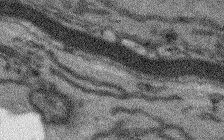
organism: Arabidopsis thaliana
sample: Root tip